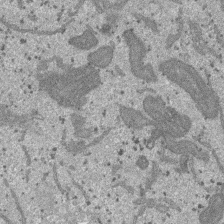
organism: Human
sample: Lung epithelial cells infected with SARS-CoV-2